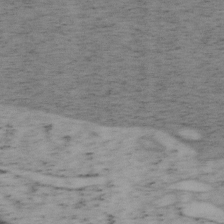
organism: Mouse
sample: OT-I killer T cells with ID8 ovarian cancer cells